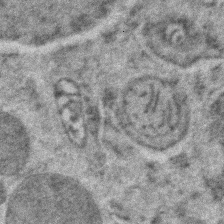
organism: Zebrafish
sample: Zebrafish embryo